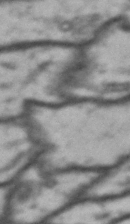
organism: Drosophila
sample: Brain